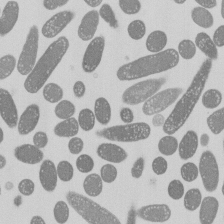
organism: E. coli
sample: Bacterial nucleoid